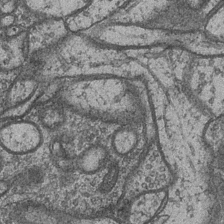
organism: Drosophila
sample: Optic medulla